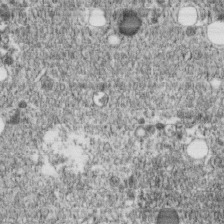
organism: C. elegans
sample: C. elegans embryo early stage